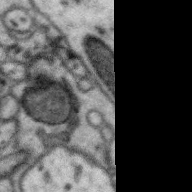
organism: Zebra finch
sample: Brain